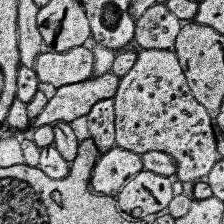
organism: Human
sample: Temporal Lobe